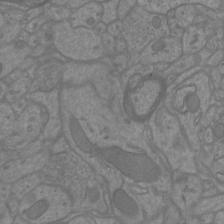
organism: Mouse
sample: Cortical neurons